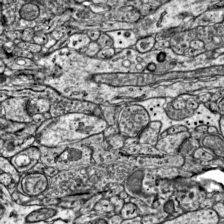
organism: Mouse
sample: Visual Cortex